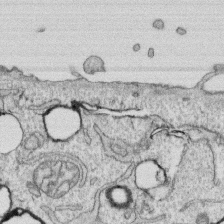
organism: Human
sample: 1205lu cells